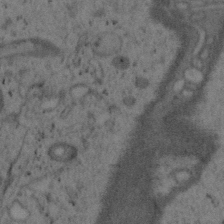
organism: Human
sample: HeLa cells